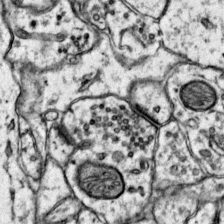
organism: Mouse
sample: Primary visual cortex